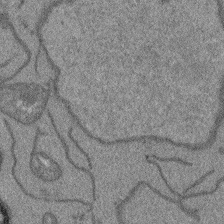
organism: Arabidopsis thaliana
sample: Root tip